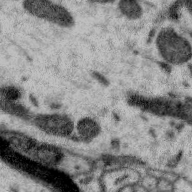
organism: Zebra finch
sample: Brain